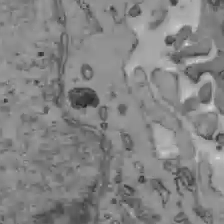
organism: C57BL Mouse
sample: Liver